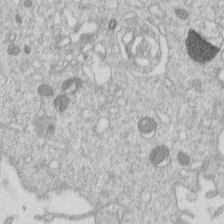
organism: Human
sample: Macrophage cells